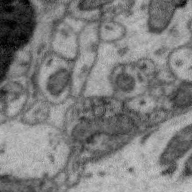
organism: Zebra finch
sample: Brain